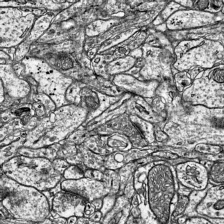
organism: Mouse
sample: Visual Cortex